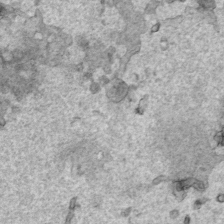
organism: Human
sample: Mitochondria in HCT116 cells